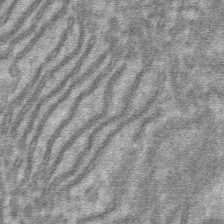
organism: Mouse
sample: Mouse hepatocytes